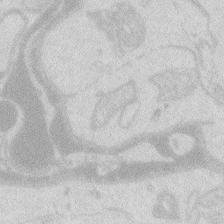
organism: Zebrafish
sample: Macrophage